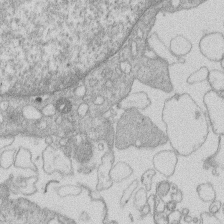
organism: Human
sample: Macrophage cells